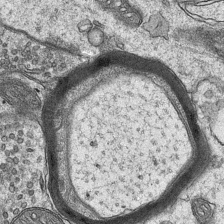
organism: Mouse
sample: CA1 Hippocampus